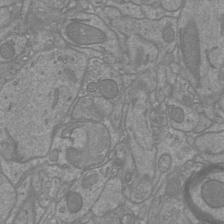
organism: Mouse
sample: Cortical neurons